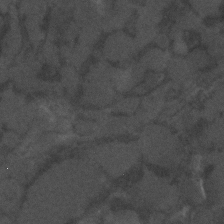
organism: C. elegans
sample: C. elegans embryo